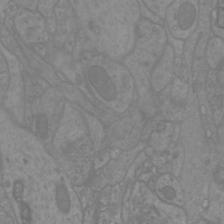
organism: Mouse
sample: Cortical neurons